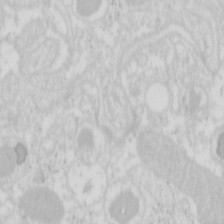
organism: Mouse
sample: Pancreas